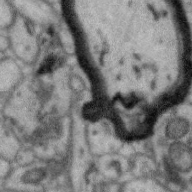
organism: Zebra finch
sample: Brain